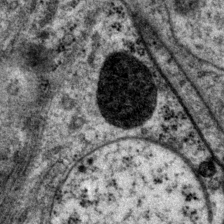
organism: P. pacificus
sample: Pharynx